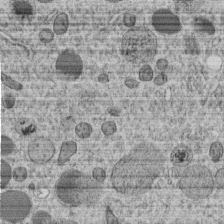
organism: C. elegans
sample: C. elegans embryo early stage